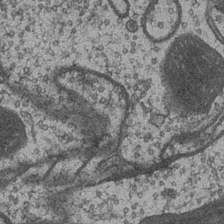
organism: Drosophila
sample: Optic medulla